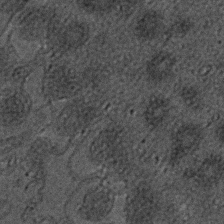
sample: Trachea